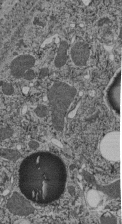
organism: C. elegans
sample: C. elegans pharynx